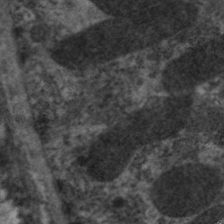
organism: C. elegans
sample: Pharynx